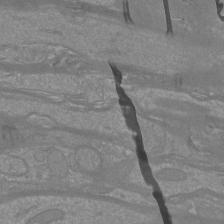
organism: Mouse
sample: Cortical neurons